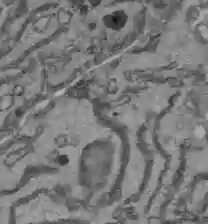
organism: C57BL Mouse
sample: Liver